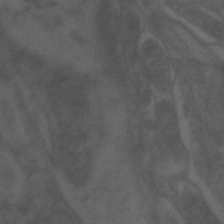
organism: Zebrafish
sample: Zebrafish embryo